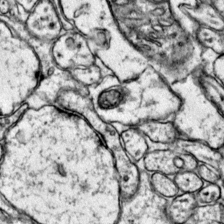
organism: Mouse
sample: Primary visual cortex